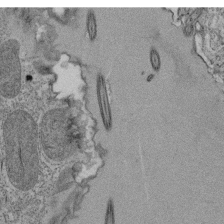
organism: Tetrahymena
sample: Cilia in tetrahymena